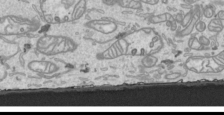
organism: Human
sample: Mitochondria in HCT116 cells